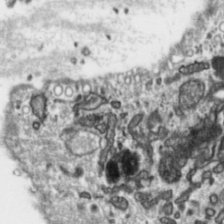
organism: Toxoplasma gondii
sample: Parasites in a vacuole inside a host cell